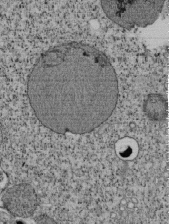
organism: Tetrahymena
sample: Cilia in tetrahymena